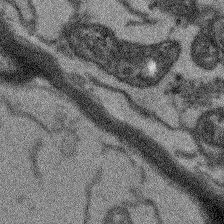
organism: Arabidopsis thaliana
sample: Root tip